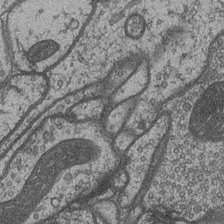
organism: Drosophila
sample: Optic medulla